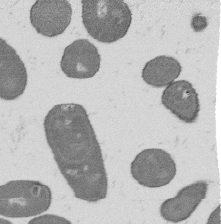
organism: B. subtilis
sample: Bacterial spore